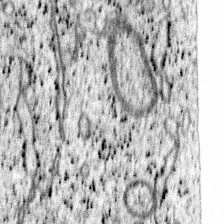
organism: Human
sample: HeLa cells